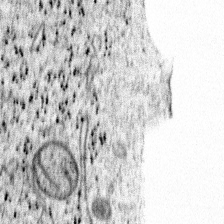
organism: Human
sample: HeLa cells